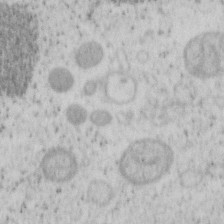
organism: Human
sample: HeLa cells